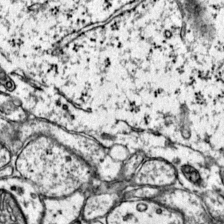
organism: Mouse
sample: Primary visual cortex